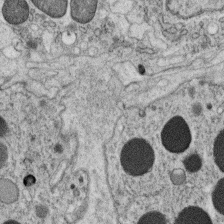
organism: C. elegans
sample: C. elegans oocyte; sperm cells